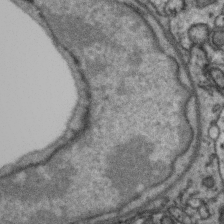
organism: Zebra finch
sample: Brain